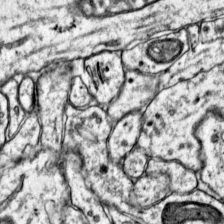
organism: Mouse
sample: Primary visual cortex